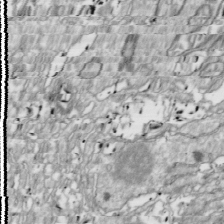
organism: Drosophila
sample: Cell division; meiosis; drosophila spermatocytes